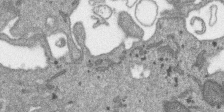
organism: Human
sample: Lung epithelial cells infected with SARS-CoV-2